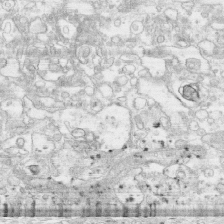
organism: Human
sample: CRL-1474